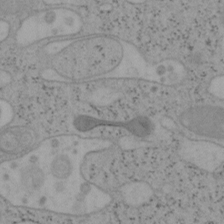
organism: Mouse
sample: OT-I killer T cells with ID8 ovarian cancer cells